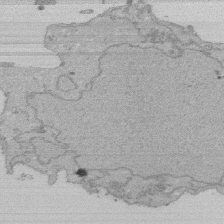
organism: Human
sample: Activated Jurkat CD4+ T cells